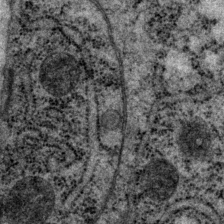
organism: P. pacificus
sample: Pharynx